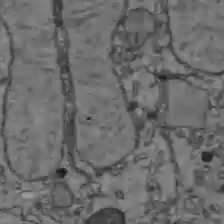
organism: C57BL Mouse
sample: Liver